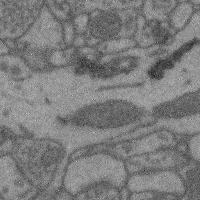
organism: Mouse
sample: Cerebral cortex